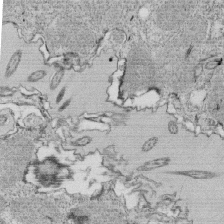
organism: Tetrahymena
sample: Cilia in tetrahymena